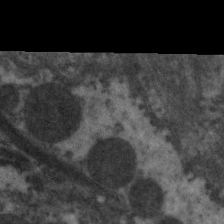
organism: C. elegans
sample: Pharynx